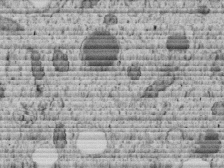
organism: C. elegans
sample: C. elegans embryo early stage